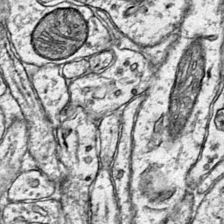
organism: Mouse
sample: Primary visual cortex